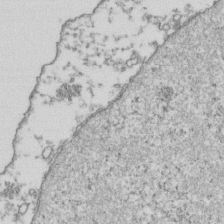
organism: Human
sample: Activated Jurkat CD4+ T cells